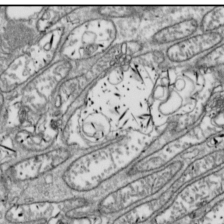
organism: Drosophila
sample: Cell division; meiosis; drosophila spermatocytes